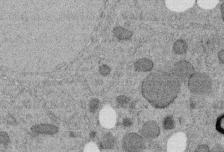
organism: C. elegans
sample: C. elegans embryo early stage